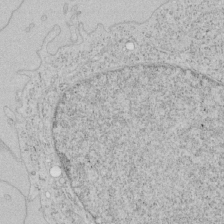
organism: Human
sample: Mitochondria in HCT116 cells